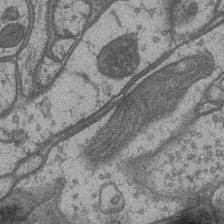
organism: Drosophila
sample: Optic medulla